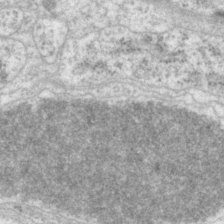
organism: P. pacificus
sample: Pharynx